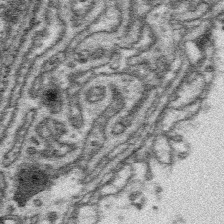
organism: Platynereis dumerilii